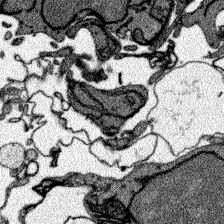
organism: Zebrafish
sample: Larval olfactory bulb